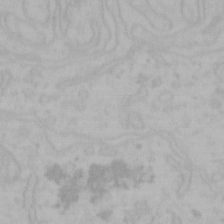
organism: Mouse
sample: Choroid plexus